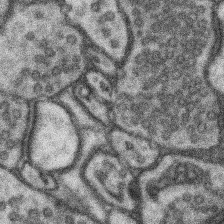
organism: Mouse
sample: Somatosensory cortex neuropil